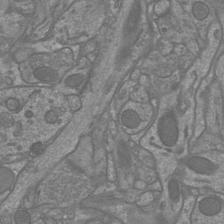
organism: Mouse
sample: Cortical neurons